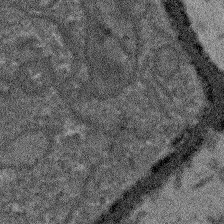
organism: Arabidopsis thaliana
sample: Root tip